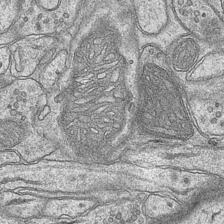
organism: Mouse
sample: CA1 Hippocampus